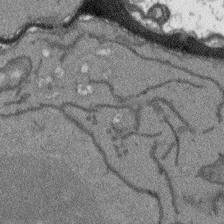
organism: Arabidopsis thaliana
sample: Root tip